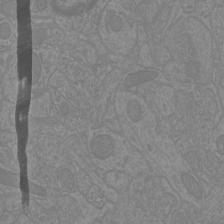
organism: Mouse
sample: Cortical neurons